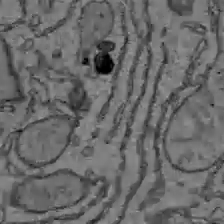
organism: C57BL Mouse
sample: Liver